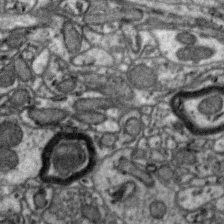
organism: Zebra finch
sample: Brain